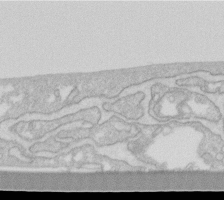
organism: Human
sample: Fibroblast cells